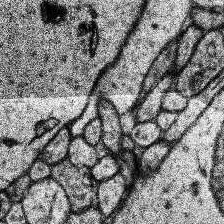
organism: Human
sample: Temporal Lobe